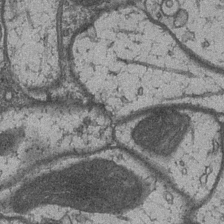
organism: Drosophila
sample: Optic medulla